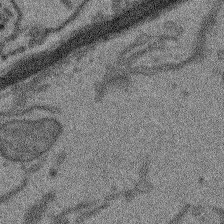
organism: Arabidopsis thaliana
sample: Root tip